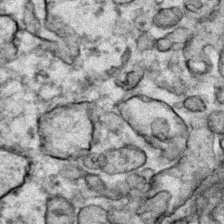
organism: Zebrafish